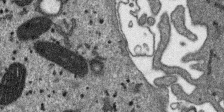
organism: Human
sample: Lung epithelial cells infected with SARS-CoV-2